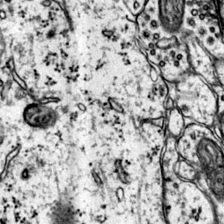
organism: Mouse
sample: Primary visual cortex